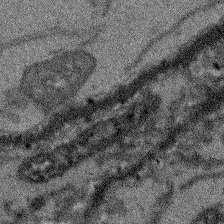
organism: Arabidopsis thaliana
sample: Root tip